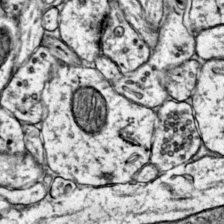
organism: Mouse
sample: Primary visual cortex